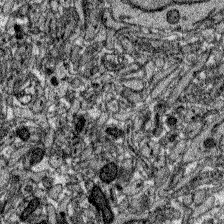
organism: Zebrafish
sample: Larval olfactory bulb